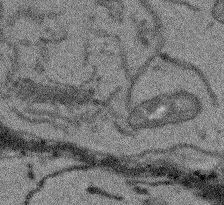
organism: Arabidopsis thaliana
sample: Root tip